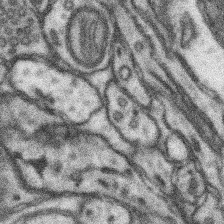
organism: Mouse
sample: Somatosensory cortex neuropil